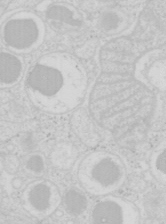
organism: Mouse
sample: Pancreas